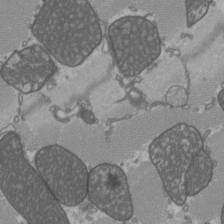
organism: C57BL Mouse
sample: Heart